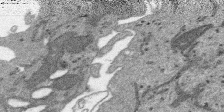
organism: Human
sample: Lung epithelial cells infected with SARS-CoV-2